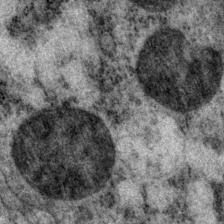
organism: P. pacificus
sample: Pharynx